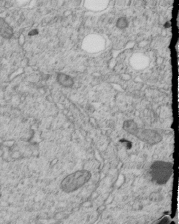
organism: C. elegans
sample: C. elegans embryo early stage